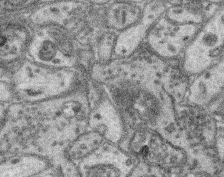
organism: Mouse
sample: Retina